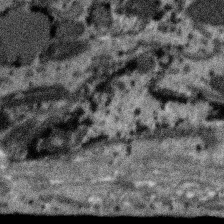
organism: Human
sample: Lung epithelial cells infected with SARS-CoV-2